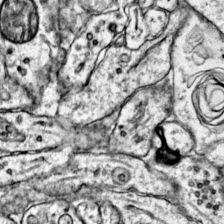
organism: Mouse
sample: Primary visual cortex